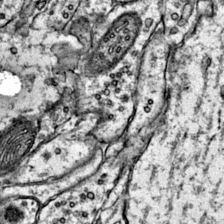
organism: Mouse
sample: Primary visual cortex